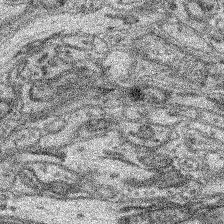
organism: Mouse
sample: Retina